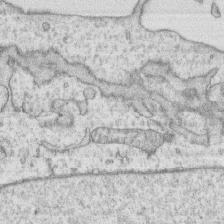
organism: Human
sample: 1205lu cells